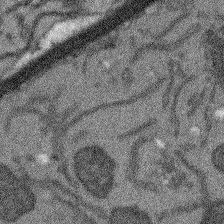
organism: Arabidopsis thaliana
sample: Root tip